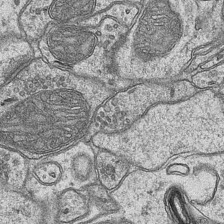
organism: Mouse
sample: CA1 Hippocampus